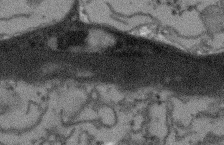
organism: Arabidopsis thaliana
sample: Root tip